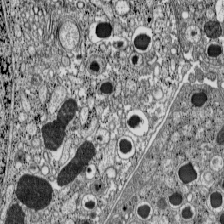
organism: C57BL Mouse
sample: Pancreatic islet